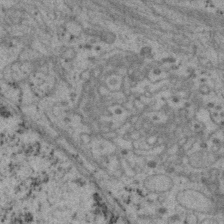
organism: Human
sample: HeLa cells